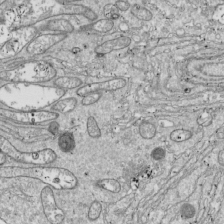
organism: Drosophila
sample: Cell division; meiosis; drosophila spermatocytes